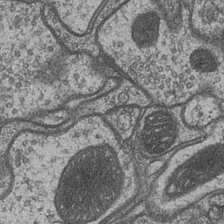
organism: Drosophila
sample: Optic medulla